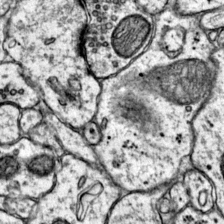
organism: Mouse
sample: Primary visual cortex